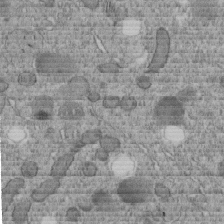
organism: C. elegans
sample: C. elegans embryo early stage